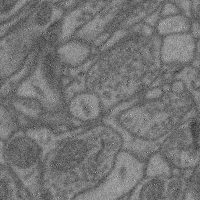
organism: Mouse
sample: Cerebral cortex